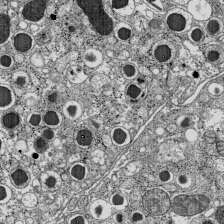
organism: C57BL Mouse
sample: Pancreatic islet